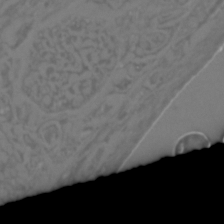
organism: C. elegans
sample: C. elegans embryo